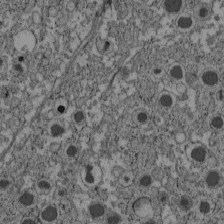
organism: C57BL Mouse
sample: Pancreatic islet